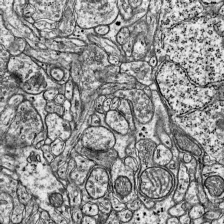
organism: Mouse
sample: Visual Cortex